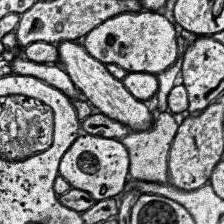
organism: Human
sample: Temporal Lobe